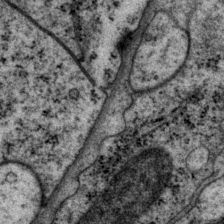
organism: P. pacificus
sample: Pharynx